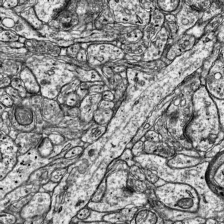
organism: Mouse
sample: Visual Cortex